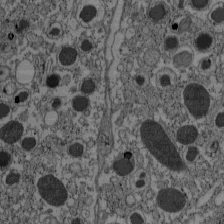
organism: C57BL Mouse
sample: Pancreatic islet